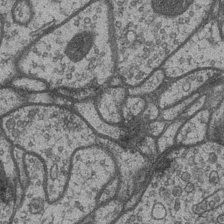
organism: Drosophila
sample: Optic medulla